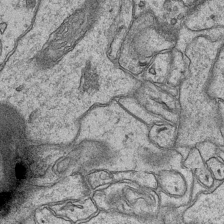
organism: Mouse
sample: CA1 Hippocampus